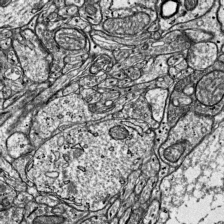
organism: Mouse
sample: Visual Cortex